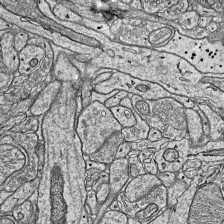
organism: Mouse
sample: Visual Cortex